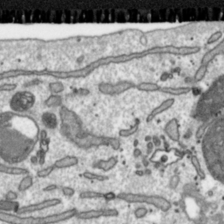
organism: Toxoplasma gondii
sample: Parasites in a vacuole inside a host cell